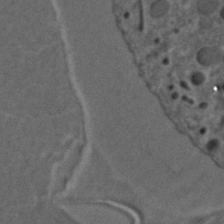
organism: C. elegans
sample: C. elegans embryo